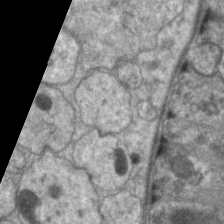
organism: C. elegans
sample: Pharynx